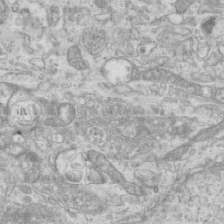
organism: Mouse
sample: Centriole in ependymal cells